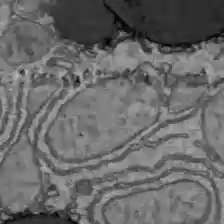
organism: C57BL Mouse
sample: Liver